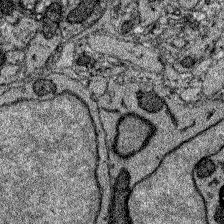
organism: Zebrafish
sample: Larval olfactory bulb